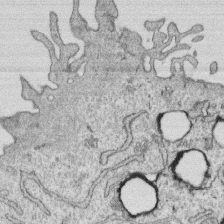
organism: Human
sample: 1205lu cells